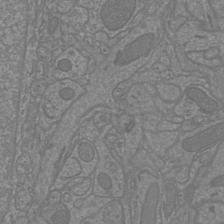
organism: Mouse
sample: Cortical neurons